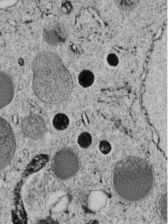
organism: C. elegans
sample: C. elegans embryo early stage